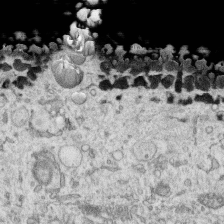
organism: Human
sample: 1205lu cells